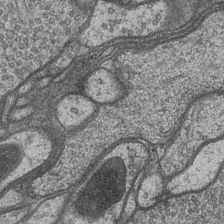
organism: Drosophila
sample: Optic medulla